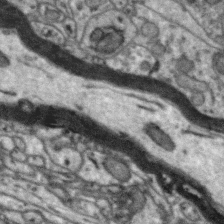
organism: Zebra finch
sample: Brain